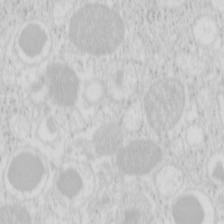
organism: Mouse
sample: Pancreas